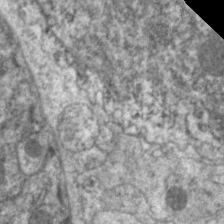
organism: C. elegans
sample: Pharynx